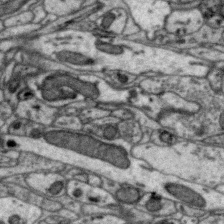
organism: Zebra finch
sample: Brain